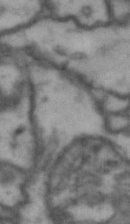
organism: Drosophila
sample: Brain